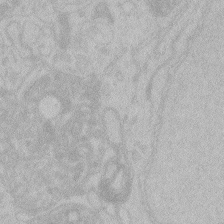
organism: Zebrafish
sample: Macrophage infected with Toxoplasma gondii